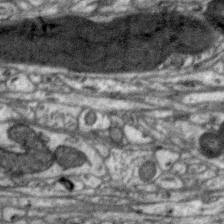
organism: Zebra finch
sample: Brain